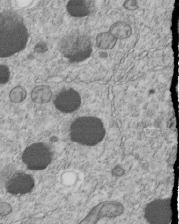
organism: C. elegans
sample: C. elegans embryo early stage